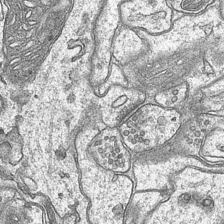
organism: Mouse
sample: CA1 Hippocampus